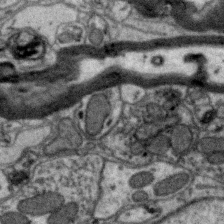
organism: Zebra finch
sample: Brain